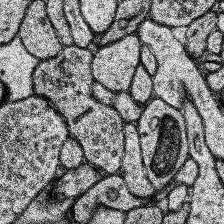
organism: Human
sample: Temporal Lobe